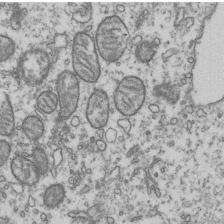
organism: Human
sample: Activated Jurkat CD4+ T cells